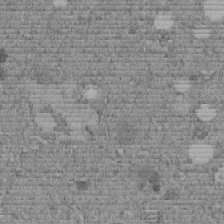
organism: C. elegans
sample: C. elegans embryo early stage